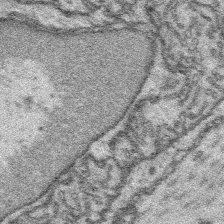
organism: Platynereis dumerilii